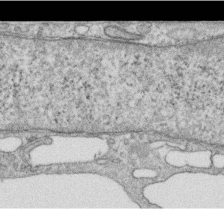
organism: Human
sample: Centriole in RPE cells